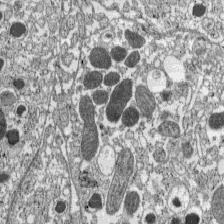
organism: C57BL Mouse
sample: Pancreatic islet